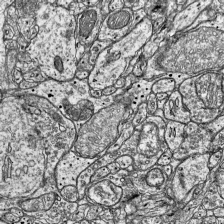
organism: Mouse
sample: Visual Cortex